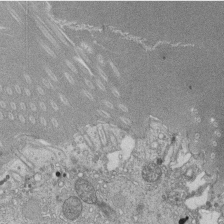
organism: Tetrahymena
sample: Cilia in tetrahymena